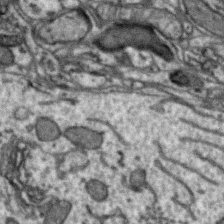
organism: Zebra finch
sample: Brain